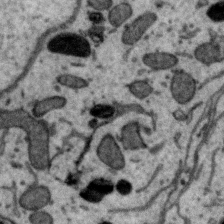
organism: Zebra finch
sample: Brain